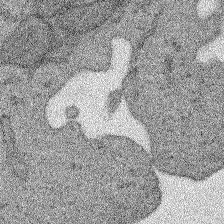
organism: Human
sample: HeLa cells